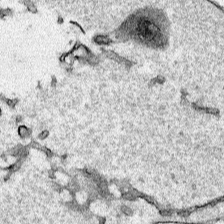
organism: Human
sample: Mitochondria in HCT116 cells